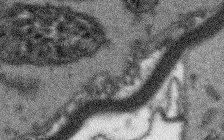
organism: Arabidopsis thaliana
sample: Root tip